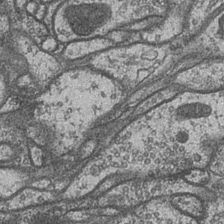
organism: Drosophila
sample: Optic medulla